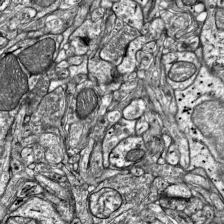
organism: Mouse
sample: Visual Cortex